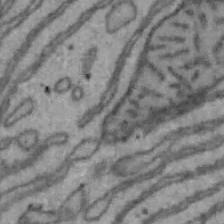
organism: Mouse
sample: Liver